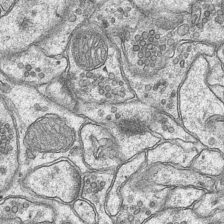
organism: Mouse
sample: CA1 Hippocampus